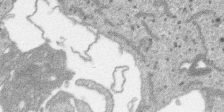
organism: Human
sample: Lung epithelial cells infected with SARS-CoV-2